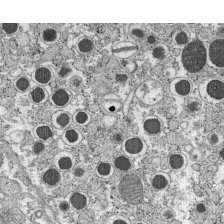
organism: C57BL Mouse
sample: Pancreatic islet